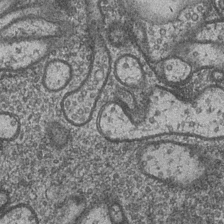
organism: Drosophila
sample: Optic medulla